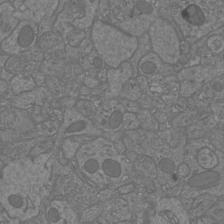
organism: Mouse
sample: Cortical neurons